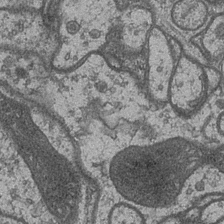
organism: Drosophila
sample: Optic medulla